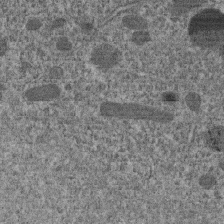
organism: C. elegans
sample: C. elegans embryo early stage